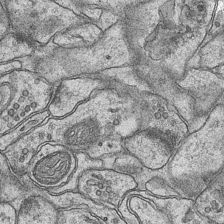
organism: Mouse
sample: CA1 Hippocampus